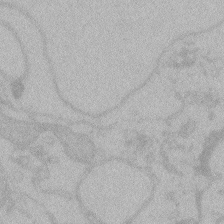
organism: Zebrafish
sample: Macrophage infected with Toxoplasma gondii